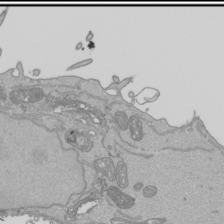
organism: Human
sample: Mitochondria in HCT116 cells